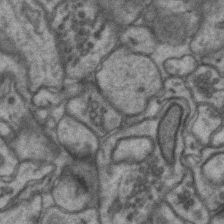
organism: Mouse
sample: CA1 Hippocampus